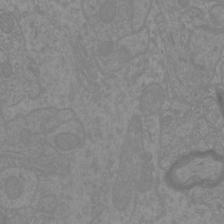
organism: Mouse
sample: Cortical neurons